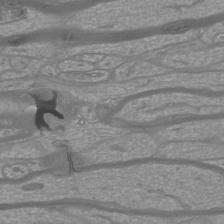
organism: Mouse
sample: Cortical neurons